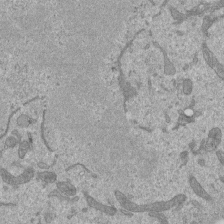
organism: Mouse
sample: ED-1 cell nuclei; centrioles